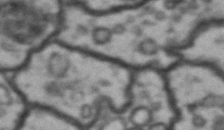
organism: Drosophila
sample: Brain